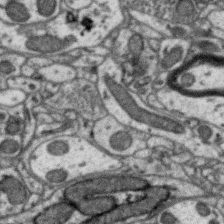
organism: Zebra finch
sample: Brain